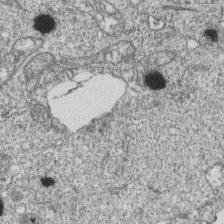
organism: Human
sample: HeLa cell HIV synapse